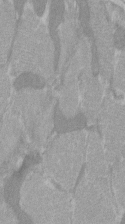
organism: C57BL Mouse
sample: Tibialis anterior muscle cell